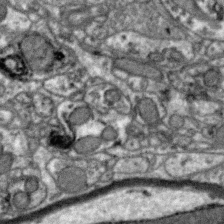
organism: Zebra finch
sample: Brain